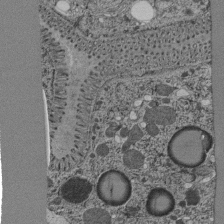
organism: C. elegans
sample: C. elegans pharynx